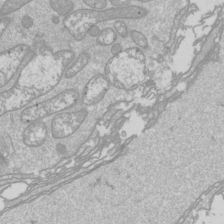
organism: Drosophila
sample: Cell division; meiosis; drosophila spermatocytes